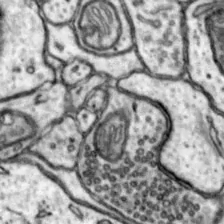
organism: Mouse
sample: Nucleus accumbens